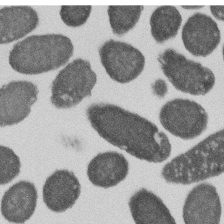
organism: E. coli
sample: Bacterial nucleoid